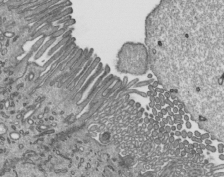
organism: Mouse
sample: Mouse epididymis efferent ductule cilia